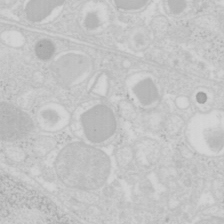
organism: Mouse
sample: Pancreas